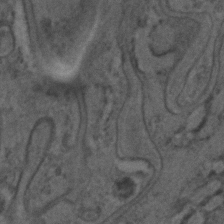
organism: C. elegans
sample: C. elegans embryo